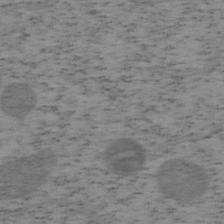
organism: Mouse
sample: OT-I killer T cells with ID8 ovarian cancer cells